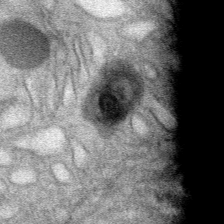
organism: Mouse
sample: Mouse Salivary gland